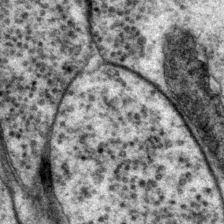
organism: P. pacificus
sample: Pharynx